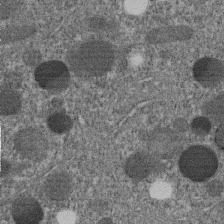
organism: C. elegans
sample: C. elegans embryo early stage